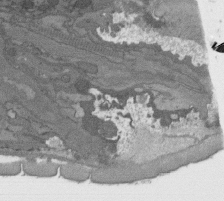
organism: C. elegans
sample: AFD neurons C. elegans